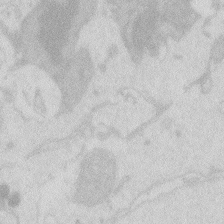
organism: Zebrafish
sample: Macrophage